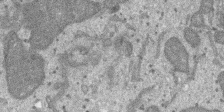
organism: Human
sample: Lung epithelial cells infected with SARS-CoV-2